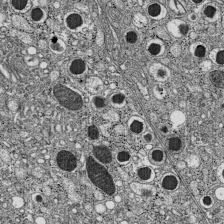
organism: C57BL Mouse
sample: Pancreatic islet